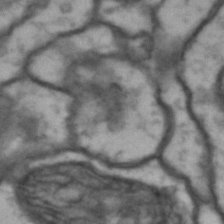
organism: Drosophila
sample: Brain